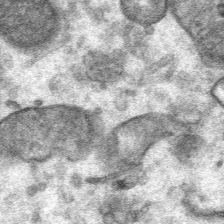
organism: Mouse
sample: Mouse Salivary gland